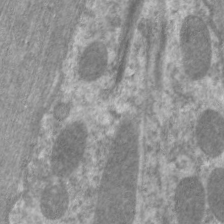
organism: C. elegans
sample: Pharynx